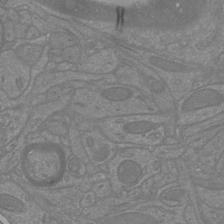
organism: Mouse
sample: Cortical neurons